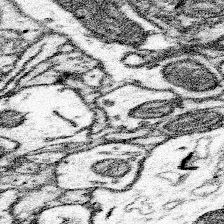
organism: Mouse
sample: Somatosensory cortex neuropil